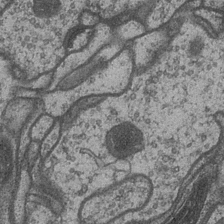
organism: Drosophila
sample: Optic medulla